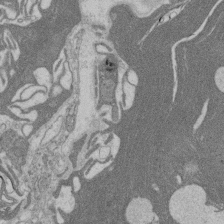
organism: Rat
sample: Salivary granule